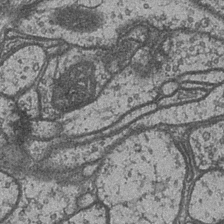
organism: Drosophila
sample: Optic medulla